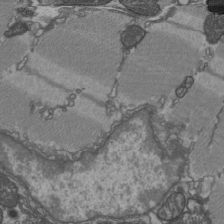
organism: C57BL Mouse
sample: Heart